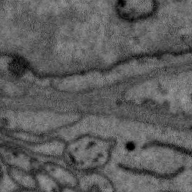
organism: Zebra finch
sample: Brain